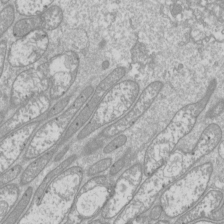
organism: Drosophila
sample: Cell division; meiosis; drosophila spermatocytes